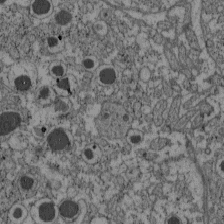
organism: C57BL Mouse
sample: Pancreatic islet